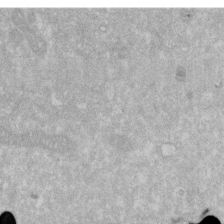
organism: Human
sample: HIV infected U937 cells